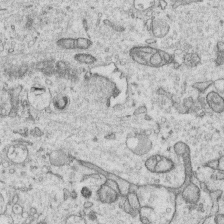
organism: Human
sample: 1205lu cells